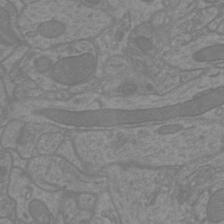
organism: Mouse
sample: Cortical neurons